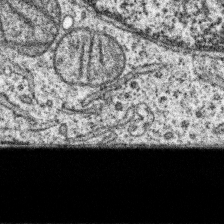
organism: Human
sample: HeLa cells